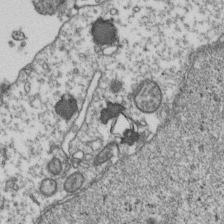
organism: Human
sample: Activated Jurkat CD4+ T cells